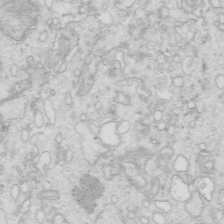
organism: Mouse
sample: Multiciliated cells